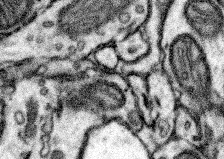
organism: Mouse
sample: Somatosensory cortex neuropil